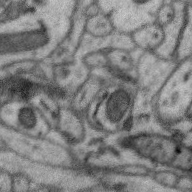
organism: Zebra finch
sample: Brain